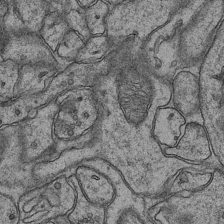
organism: Mouse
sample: CA1 Hippocampus